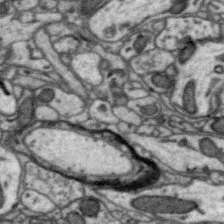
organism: Zebra finch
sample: Brain